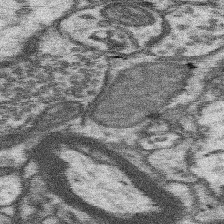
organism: Mouse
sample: Somatosensory cortex neuropil